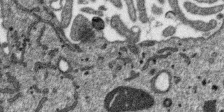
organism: Human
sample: Lung epithelial cells infected with SARS-CoV-2